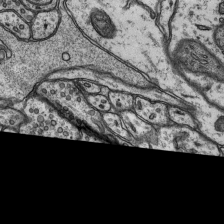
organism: Rat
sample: Hippocampus